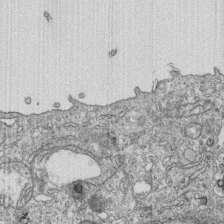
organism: Human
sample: HeLa cell HIV synapse